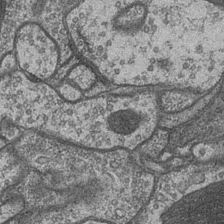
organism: Drosophila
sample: Optic medulla